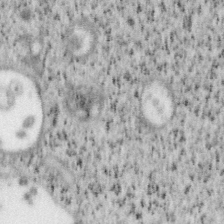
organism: Mouse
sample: OT-I killer T cells with ID8 ovarian cancer cells